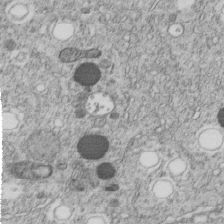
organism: C. elegans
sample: C. elegans embryo early stage